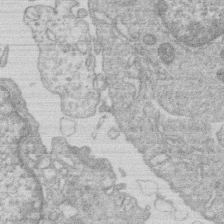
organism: Human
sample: Macrophage cells